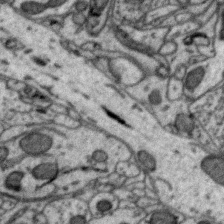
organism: Zebra finch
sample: Brain